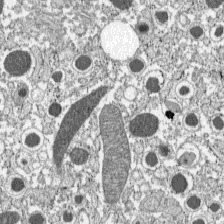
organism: C57BL Mouse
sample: Pancreatic islet